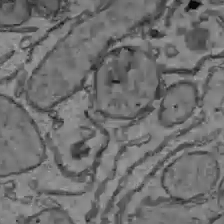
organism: C57BL Mouse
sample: Liver